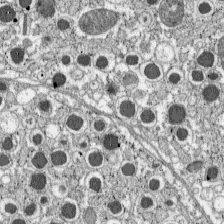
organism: C57BL Mouse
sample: Pancreatic islet